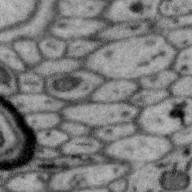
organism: Zebra finch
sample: Brain